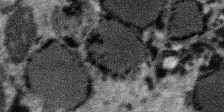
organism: Human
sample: Lung epithelial cells infected with SARS-CoV-2